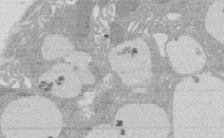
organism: Rat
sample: Salivary granule